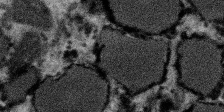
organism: Human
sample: Lung epithelial cells infected with SARS-CoV-2